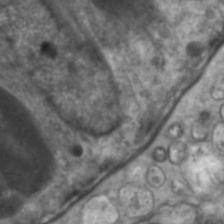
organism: C. elegans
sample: Pharynx